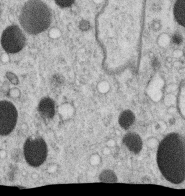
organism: C. elegans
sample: C. elegans oocyte; sperm cells